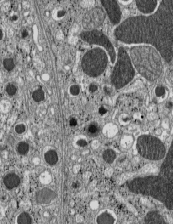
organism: C57BL Mouse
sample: Pancreatic islet